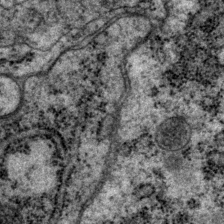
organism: P. pacificus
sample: Pharynx